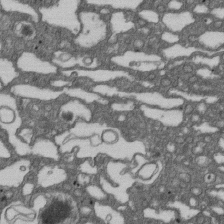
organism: Drosophila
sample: Nephrocyte